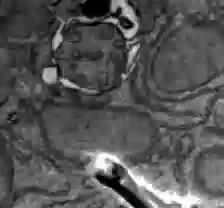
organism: C57BL Mouse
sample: Liver